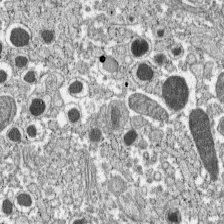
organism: C57BL Mouse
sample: Pancreatic islet